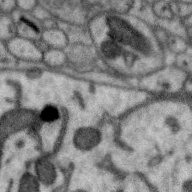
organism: Zebra finch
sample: Brain